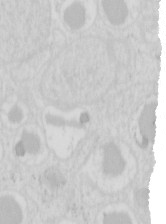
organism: Mouse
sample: Pancreas